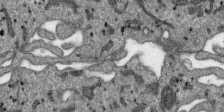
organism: Human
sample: Lung epithelial cells, uninfected (mock) control